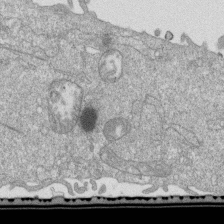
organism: Human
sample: HeLa cell HIV synapse